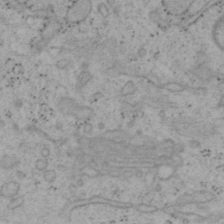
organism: Human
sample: HeLa cells